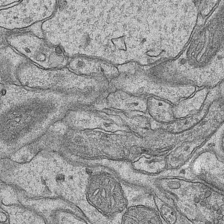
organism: Mouse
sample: CA1 Hippocampus